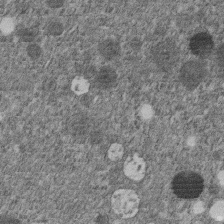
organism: C. elegans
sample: C. elegans embryo early stage